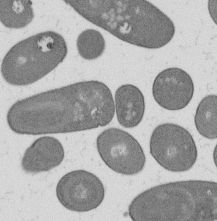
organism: B. subtilis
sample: Bacterial spore